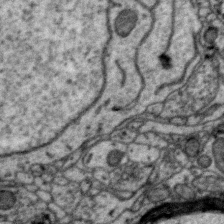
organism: Zebra finch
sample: Brain